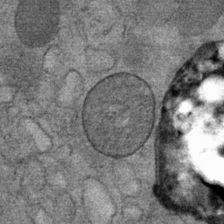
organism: Mouse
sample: Mouse Salivary gland